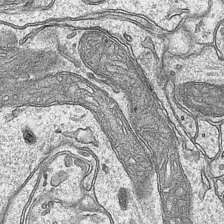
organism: Mouse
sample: CA1 Hippocampus